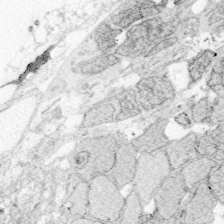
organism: Zebrafish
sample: Whole-Brain